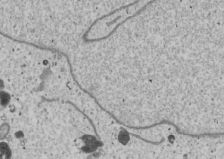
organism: Human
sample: Mitochondria in U2OS cells